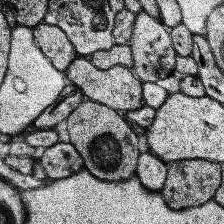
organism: Human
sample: Temporal Lobe